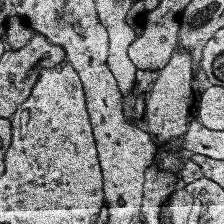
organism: Human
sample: Temporal Lobe